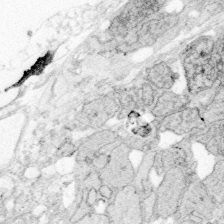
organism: Zebrafish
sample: Whole-Brain